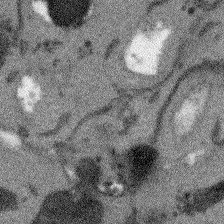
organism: Arabidopsis thaliana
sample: Root tip